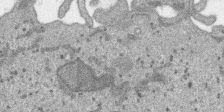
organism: Human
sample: Lung epithelial cells infected with SARS-CoV-2